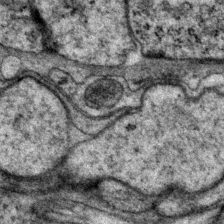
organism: P. pacificus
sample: Pharynx